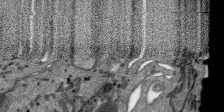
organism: Human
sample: Lung epithelial cells, uninfected (mock) control